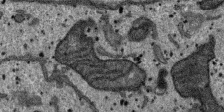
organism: Human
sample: Lung epithelial cells, uninfected (mock) control